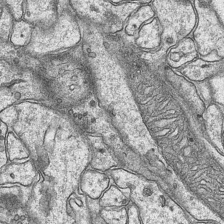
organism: Mouse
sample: CA1 Hippocampus